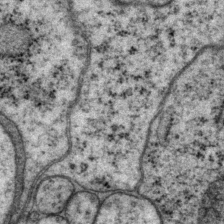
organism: P. pacificus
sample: Pharynx